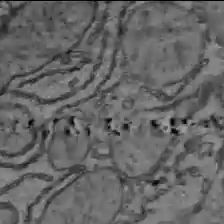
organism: C57BL Mouse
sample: Liver